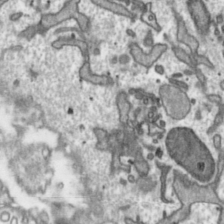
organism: Toxoplasma gondii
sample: Parasites in a vacuole inside a host cell